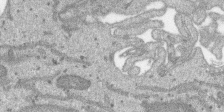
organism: Human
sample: Lung epithelial cells infected with SARS-CoV-2